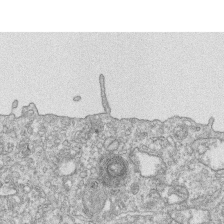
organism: Human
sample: HeLa cell HIV synapse